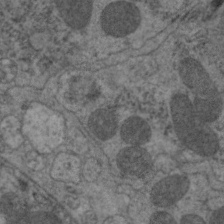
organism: C. elegans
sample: Pharynx